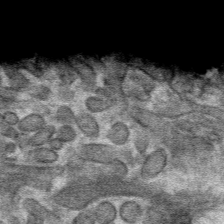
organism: Mouse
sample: Mouse hepatocytes